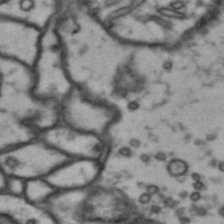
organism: Drosophila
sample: Brain